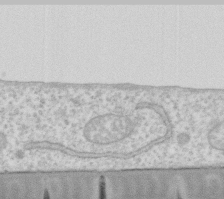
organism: Human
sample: Fibroblast cells